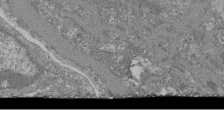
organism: Mouse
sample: Glomerulus